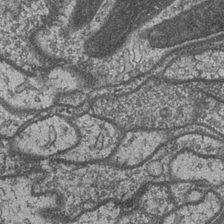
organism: Drosophila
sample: Optic medulla